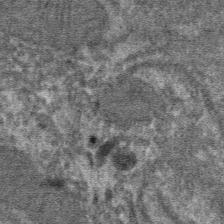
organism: Mouse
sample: Mouse hepatocytes